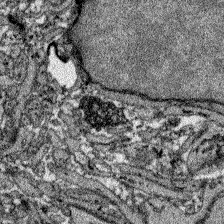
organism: Zebrafish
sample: Larval olfactory bulb